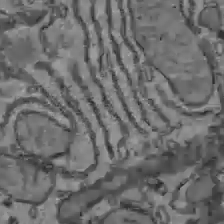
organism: C57BL Mouse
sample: Liver